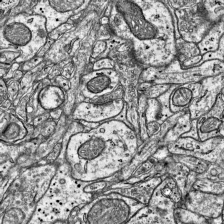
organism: Mouse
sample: Visual Cortex